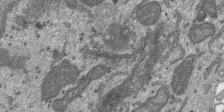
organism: Human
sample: Lung epithelial cells infected with SARS-CoV-2